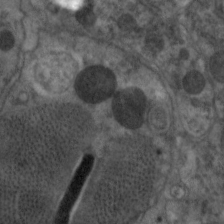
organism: C. elegans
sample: Pharynx